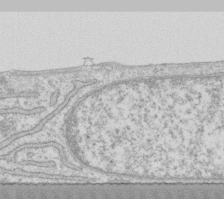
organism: Human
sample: Fibroblast cells